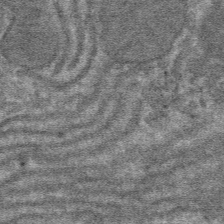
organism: Mouse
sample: Mouse hepatocytes